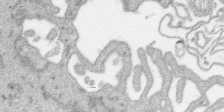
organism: Human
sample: Lung epithelial cells infected with SARS-CoV-2